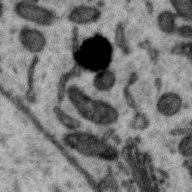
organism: Zebra finch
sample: Brain